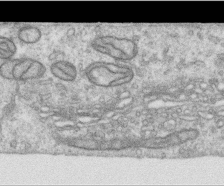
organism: Human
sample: Centriole in RPE cells